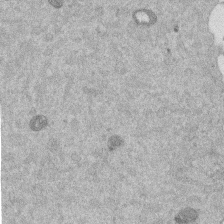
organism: Mouse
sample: Dividing mouse embryo 1 cell stage